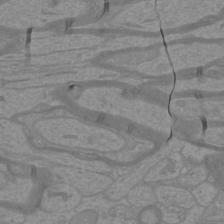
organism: Mouse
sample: Cortical neurons